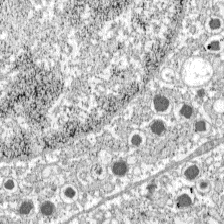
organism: C57BL Mouse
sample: Pancreatic islet